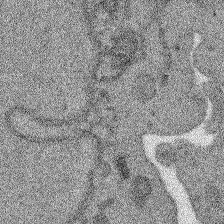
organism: Human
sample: HeLa cells